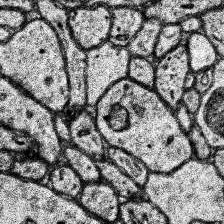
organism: Human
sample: Temporal Lobe